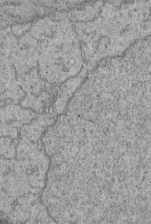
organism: Human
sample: Retinal organoid Rod and Cone cells